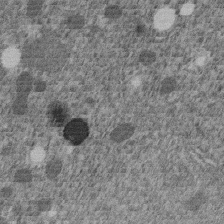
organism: C. elegans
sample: C. elegans embryo early stage